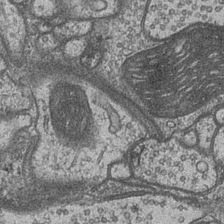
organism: Drosophila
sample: Optic medulla